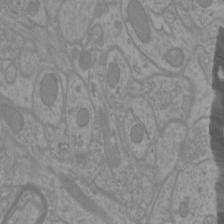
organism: Mouse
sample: Cortical neurons